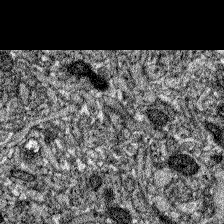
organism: Zebrafish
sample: Larval olfactory bulb